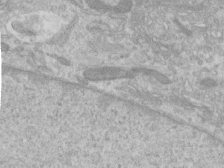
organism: Human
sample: Centriole in RPE cells